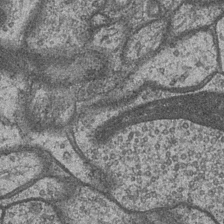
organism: Drosophila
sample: Optic medulla